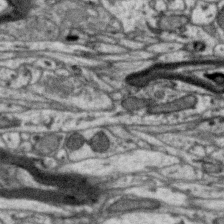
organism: Zebra finch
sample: Brain